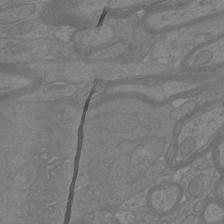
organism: Mouse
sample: Cortical neurons